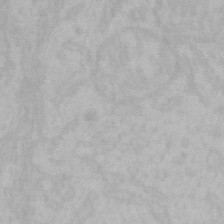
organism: Mouse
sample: Choroid plexus